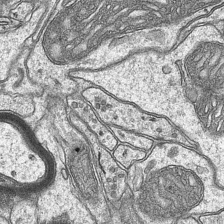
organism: Mouse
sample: CA1 Hippocampus